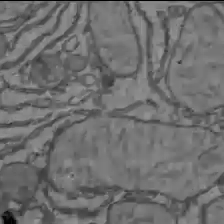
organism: C57BL Mouse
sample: Liver